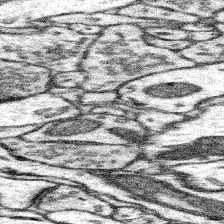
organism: Mouse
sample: Somatosensory cortex neuropil